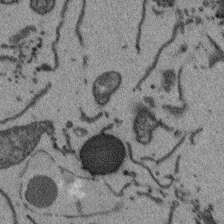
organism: Arabidopsis thaliana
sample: Root tip